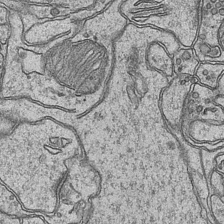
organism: Mouse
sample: CA1 Hippocampus